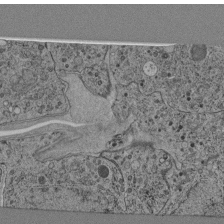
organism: C. elegans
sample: C. elegans pharynx